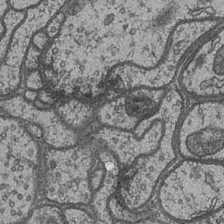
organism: Drosophila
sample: Optic medulla